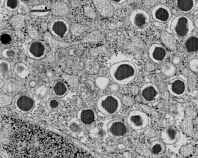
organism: C57BL Mouse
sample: Pancreatic islet